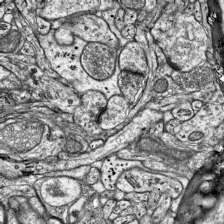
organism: Mouse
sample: Visual Cortex